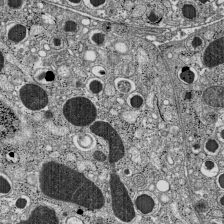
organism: C57BL Mouse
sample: Pancreatic islet